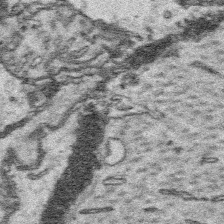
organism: Platynereis dumerilii